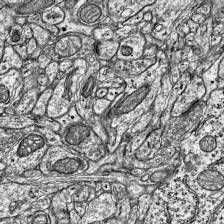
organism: Mouse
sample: Visual Cortex